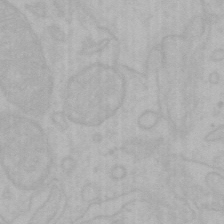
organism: Mouse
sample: Choroid plexus